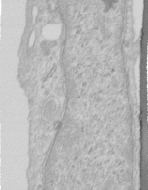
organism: Human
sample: Centriole in RPE cells